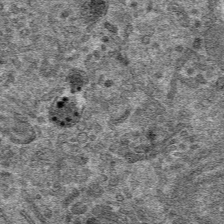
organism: Mouse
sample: Mouse hepatocytes